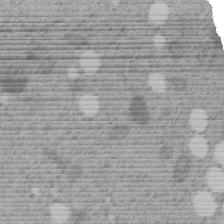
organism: C. elegans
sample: C. elegans embryo early stage